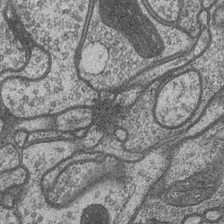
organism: Drosophila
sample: Optic medulla